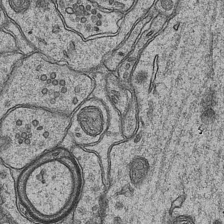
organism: Mouse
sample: CA1 Hippocampus